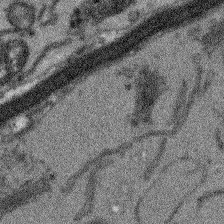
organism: Arabidopsis thaliana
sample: Root tip